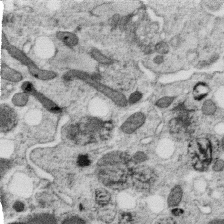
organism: C. elegans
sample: C. elegans oocyte; sperm cells